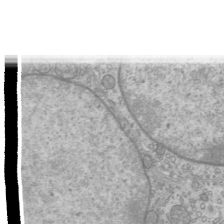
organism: Mouse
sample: Cilia; mouse epididymis